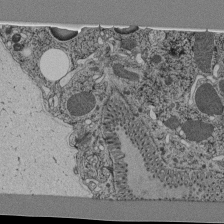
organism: C. elegans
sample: C. elegans pharynx